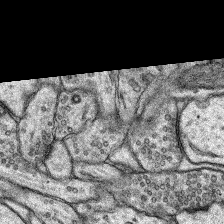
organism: Rat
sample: Hippocampus